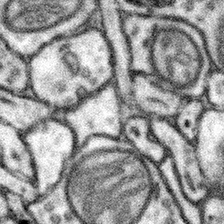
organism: Mouse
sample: Somatosensory cortex neuropil